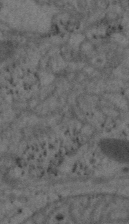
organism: Human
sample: HeLa cells